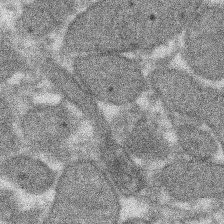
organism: Xenopus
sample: Cilia; centrioles in frog embryo cells